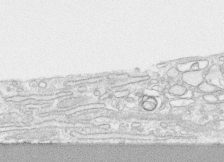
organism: Human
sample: CRL-1474